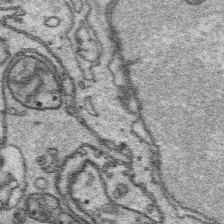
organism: Platynereis dumerilii